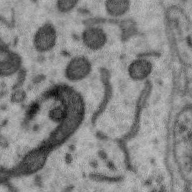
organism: Zebra finch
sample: Brain